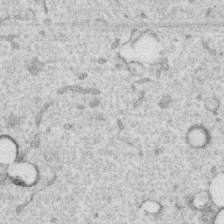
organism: Human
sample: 1205lu cells